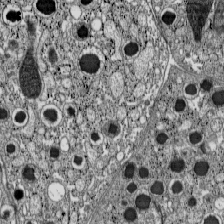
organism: C57BL Mouse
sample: Pancreatic islet